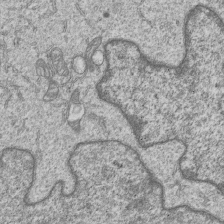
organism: Human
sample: MDA-MB-231 cells